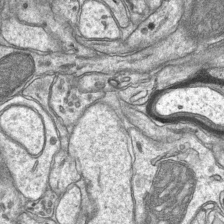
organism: Mouse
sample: CA1 Hippocampus